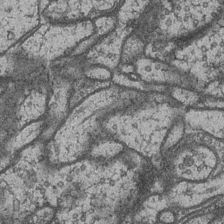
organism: Drosophila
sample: Optic medulla